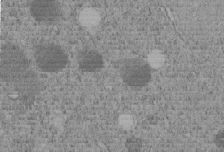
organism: C. elegans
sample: C. elegans embryo early stage